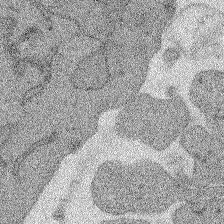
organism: Human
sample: HeLa cells